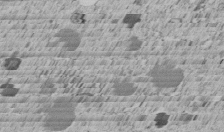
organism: C. elegans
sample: C. elegans embryo early stage